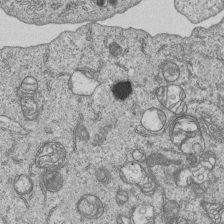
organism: Human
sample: MDA-MB-231 cells